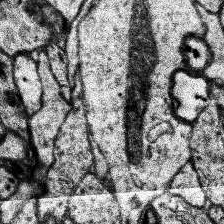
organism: Human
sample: Temporal Lobe